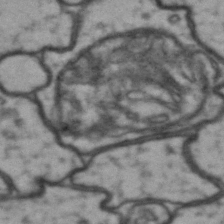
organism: Drosophila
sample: Brain